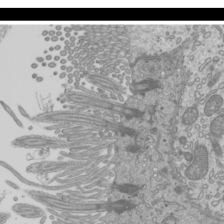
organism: Mouse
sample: Cilia; mouse epididymis